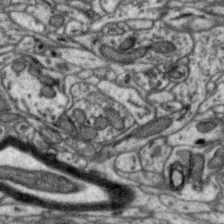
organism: Zebra finch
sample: Brain